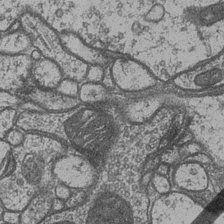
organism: Drosophila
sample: Optic medulla